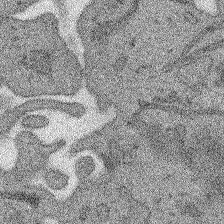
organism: Human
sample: HeLa cells